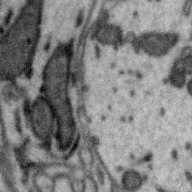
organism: Zebra finch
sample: Brain